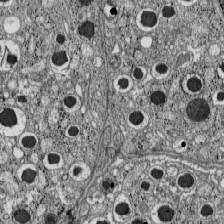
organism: C57BL Mouse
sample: Pancreatic islet